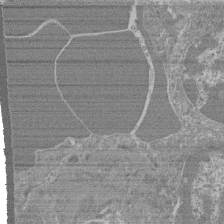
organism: Mouse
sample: Glomerulus